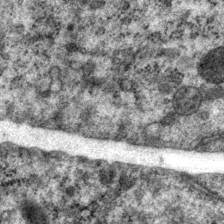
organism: P. pacificus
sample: Pharynx